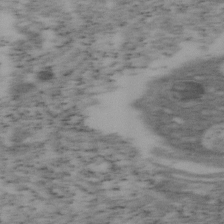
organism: Mouse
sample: OT-I killer T cells with ID8 ovarian cancer cells